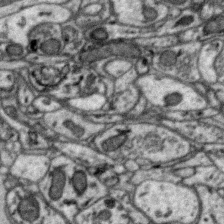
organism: Zebra finch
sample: Brain